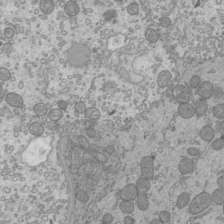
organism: Mouse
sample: Cilia; mouse epididymis